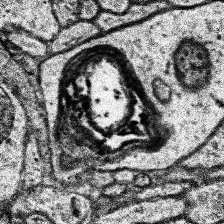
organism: Human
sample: Temporal Lobe